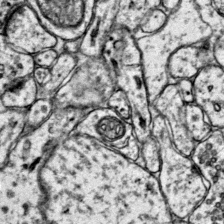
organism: Mouse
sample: Primary visual cortex